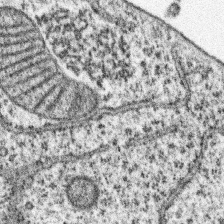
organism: Human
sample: HeLa cells